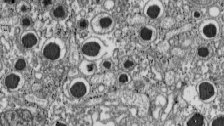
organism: C57BL Mouse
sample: Pancreatic islet